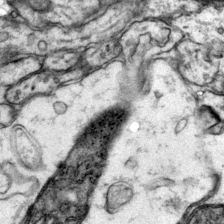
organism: Mouse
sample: Primary visual cortex